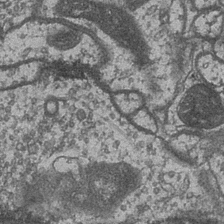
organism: Drosophila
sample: Optic medulla